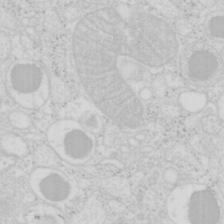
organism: Mouse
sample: Pancreas